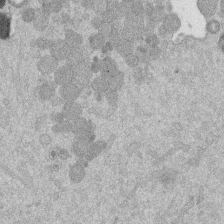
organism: Mouse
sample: Dividing mouse embryo 1 cell stage